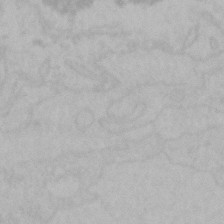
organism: Mouse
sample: Choroid plexus